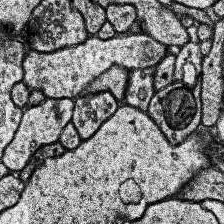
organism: Human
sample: Temporal Lobe